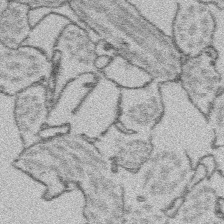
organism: Platynereis dumerilii